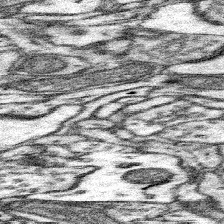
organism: Mouse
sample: Somatosensory cortex neuropil